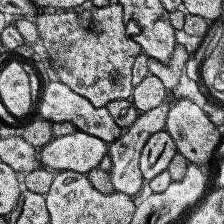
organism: Human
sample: Temporal Lobe